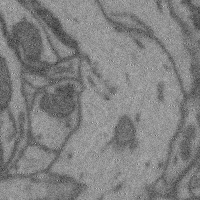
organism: Mouse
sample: Cerebral cortex